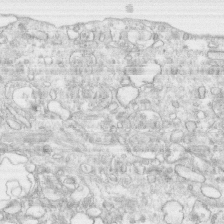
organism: Human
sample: CRL-1474